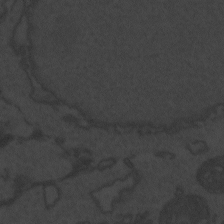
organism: Zebrafish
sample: Macrophage infected with Toxoplasma gondii